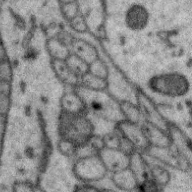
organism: Zebra finch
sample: Brain